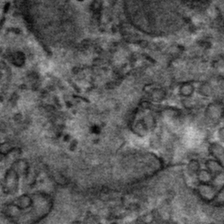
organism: Mouse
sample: Mouse hepatocytes